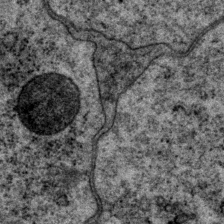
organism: P. pacificus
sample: Pharynx